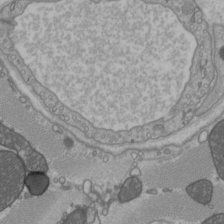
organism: C57BL Mouse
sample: Heart